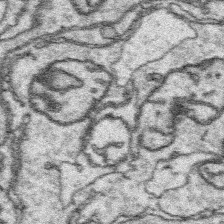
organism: Platynereis dumerilii